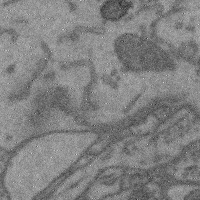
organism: Mouse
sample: Cerebral cortex